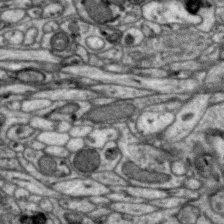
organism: Zebra finch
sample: Brain